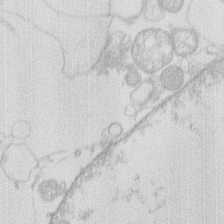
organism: Human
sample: Macrophage cells